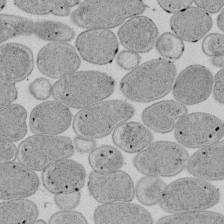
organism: E. coli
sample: Bacterial nucleoid